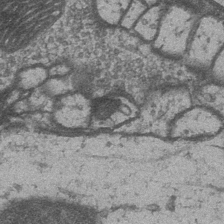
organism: Drosophila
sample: Optic medulla